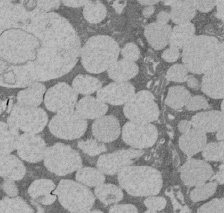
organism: Rat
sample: Salivary granule